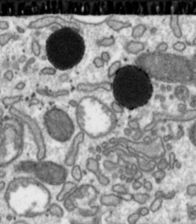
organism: Toxoplasma gondii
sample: Parasites in a vacuole inside a host cell